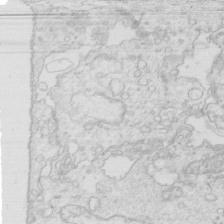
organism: Mouse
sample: Multiciliated cells